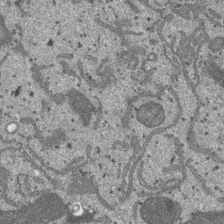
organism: Human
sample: Lung epithelial cells infected with SARS-CoV-2